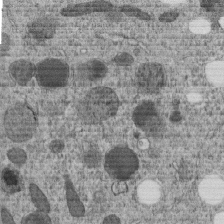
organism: C. elegans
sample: C. elegans embryo early stage